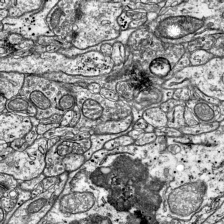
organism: Mouse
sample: Visual Cortex